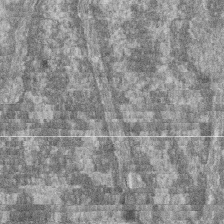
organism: Zebrafish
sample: Cilia; retinal pigment epithelium